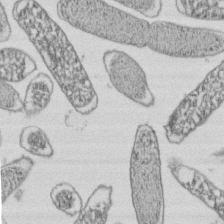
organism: E. coli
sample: Bacterial nucleoid